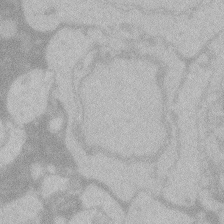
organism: Zebrafish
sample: Macrophage infected with Toxoplasma gondii